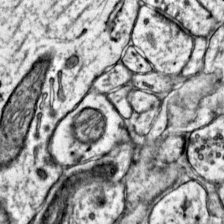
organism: Mouse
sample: Primary visual cortex